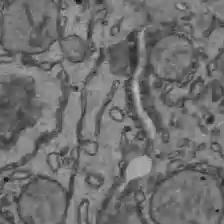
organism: C57BL Mouse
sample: Liver